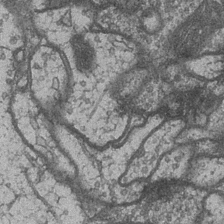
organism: Drosophila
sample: Optic medulla